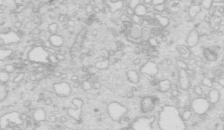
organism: Mouse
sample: Multiciliated cells